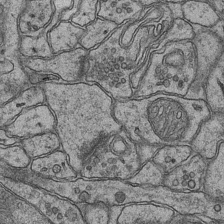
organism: Mouse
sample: CA1 Hippocampus